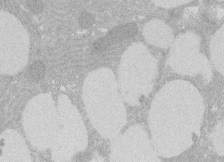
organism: Rat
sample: Salivary granule